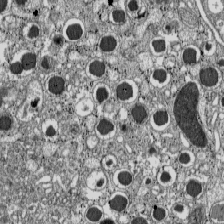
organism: C57BL Mouse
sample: Pancreatic islet